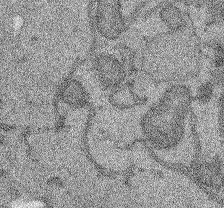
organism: Human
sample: HeLa cells